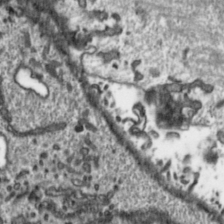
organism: Toxoplasma gondii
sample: Parasites in a vacuole inside a host cell